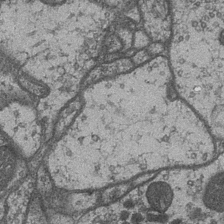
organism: Drosophila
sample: Optic medulla